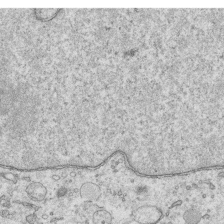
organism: Human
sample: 1205lu cells